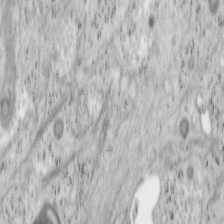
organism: Human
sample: HeLa cells